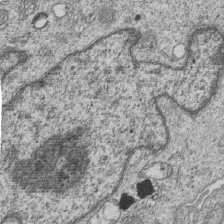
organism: Human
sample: MDA-MB-231 cells